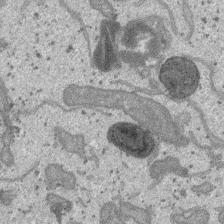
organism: Human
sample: Lung epithelial cells infected with SARS-CoV-2